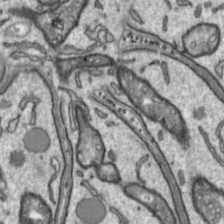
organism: Toxoplasma gondii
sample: Parasites in a vacuole inside a host cell